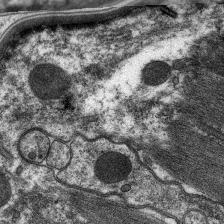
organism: C. elegans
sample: Pharynx